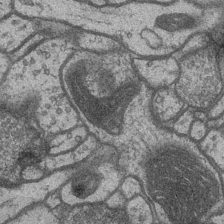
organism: Drosophila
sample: Optic medulla